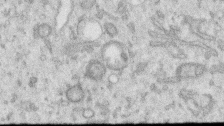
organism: Human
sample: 1205lu cells